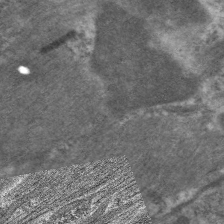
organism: C. elegans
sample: Pharynx